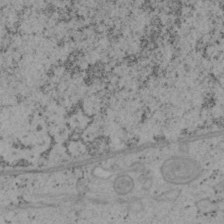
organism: Human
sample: HeLa cells